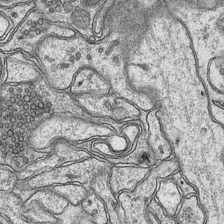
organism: Mouse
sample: CA1 Hippocampus